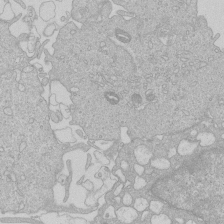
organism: Human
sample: Macrophage cells